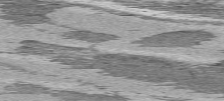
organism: C57BL Mouse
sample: Heart